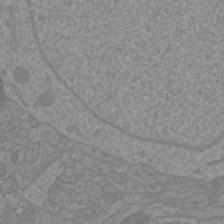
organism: Mouse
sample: Cortical neurons